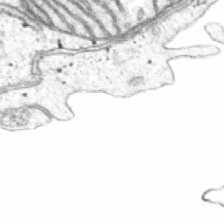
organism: Human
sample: HeLa cells